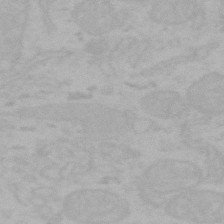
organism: Mouse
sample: Choroid plexus